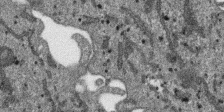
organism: Human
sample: Lung epithelial cells infected with SARS-CoV-2